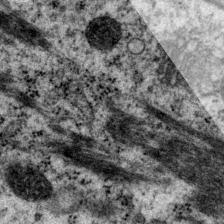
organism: P. pacificus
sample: Pharynx